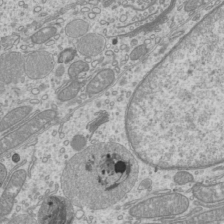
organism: Mouse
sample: Cilia; mouse epididymis